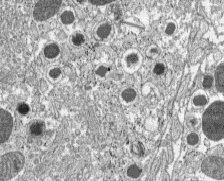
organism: C57BL Mouse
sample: Pancreatic islet